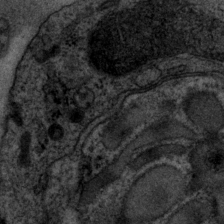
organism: P. pacificus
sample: Pharynx